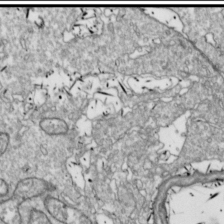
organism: Drosophila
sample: Cell division; meiosis; drosophila spermatocytes